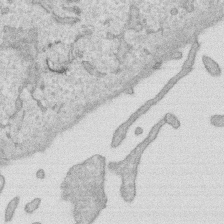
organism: Human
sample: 1205lu cells